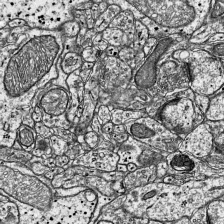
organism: Mouse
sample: Visual Cortex